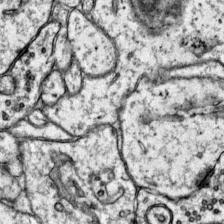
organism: Mouse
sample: Primary visual cortex